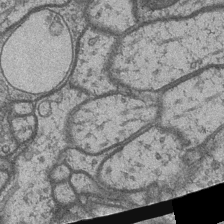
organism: Drosophila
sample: Optic medulla